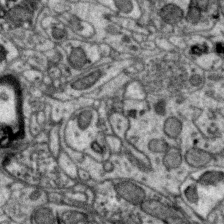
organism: Zebra finch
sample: Brain